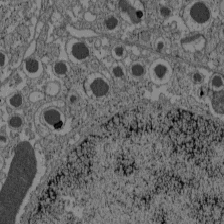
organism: C57BL Mouse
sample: Pancreatic islet